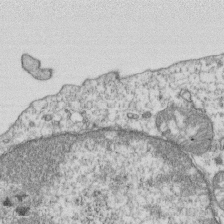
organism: Mouse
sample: Activated OT-1 CD8+ T cells